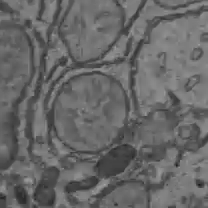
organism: C57BL Mouse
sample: Liver